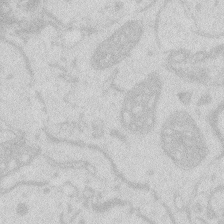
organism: Zebrafish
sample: Macrophage